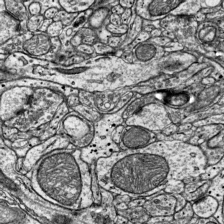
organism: Mouse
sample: Visual Cortex